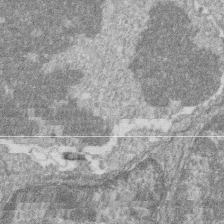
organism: Zebrafish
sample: Cilia; retinal pigment epithelium